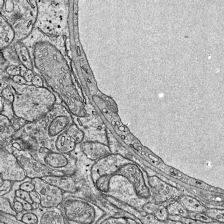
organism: Mouse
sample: Visual Cortex